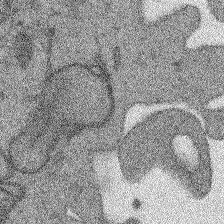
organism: Human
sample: HeLa cells